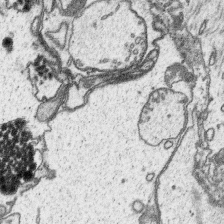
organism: Platynereis dumerilii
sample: Parapodia